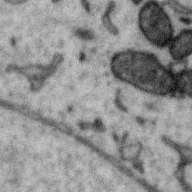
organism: Zebra finch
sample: Brain